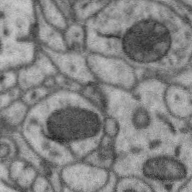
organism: Zebra finch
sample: Brain